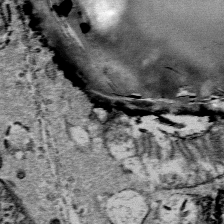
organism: Mouse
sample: Mouse Salivary gland